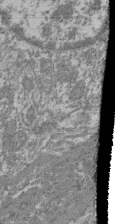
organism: Mouse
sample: Glomerulus